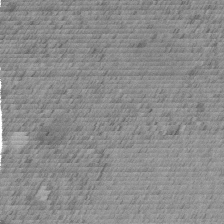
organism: C. elegans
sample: C. elegans embryo early stage